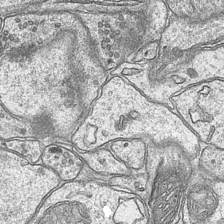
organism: Mouse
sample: CA1 Hippocampus